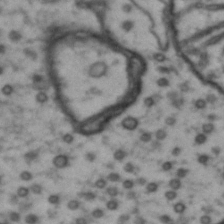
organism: Drosophila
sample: Brain